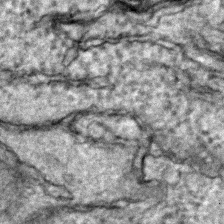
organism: Zebrafish